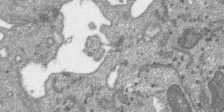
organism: Human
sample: Lung epithelial cells infected with SARS-CoV-2